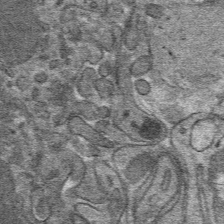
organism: Mouse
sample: Mouse hepatocytes